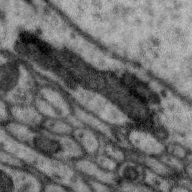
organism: Zebra finch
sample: Brain